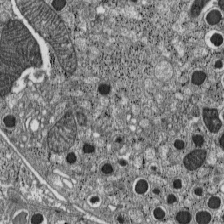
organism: C57BL Mouse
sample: Pancreatic islet